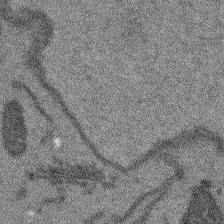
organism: Arabidopsis thaliana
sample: Root tip